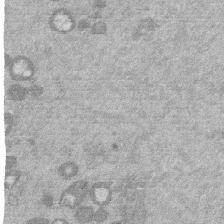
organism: Mouse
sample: Dividing mouse embryo 1 cell stage